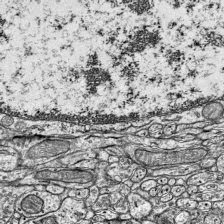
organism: Mouse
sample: Visual Cortex